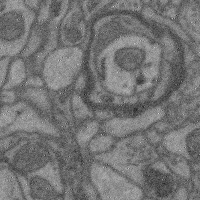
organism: Mouse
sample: Cerebral cortex